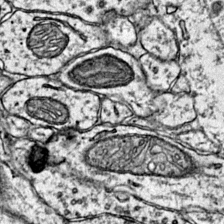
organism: Mouse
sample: Primary visual cortex